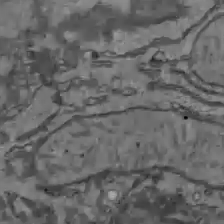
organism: C57BL Mouse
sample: Liver